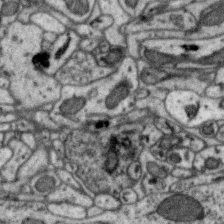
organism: Zebra finch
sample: Brain